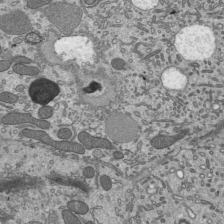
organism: Mouse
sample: Mouse epididymis efferent ductule cilia